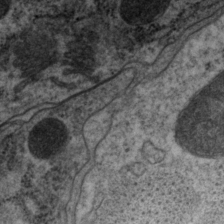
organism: P. pacificus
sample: Pharynx